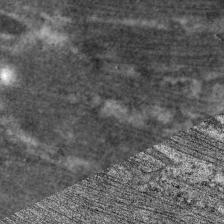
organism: C. elegans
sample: Pharynx